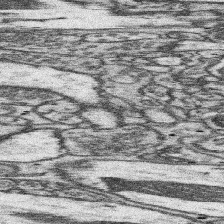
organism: Mouse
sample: Somatosensory cortex neuropil